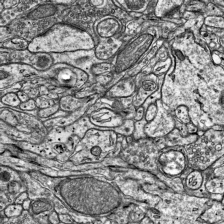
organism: Mouse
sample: Visual Cortex